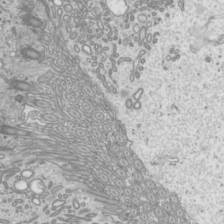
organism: Mouse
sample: Cilia; mouse epididymis